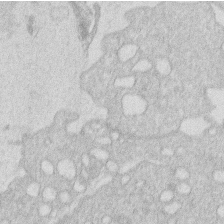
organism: Human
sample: Macrophage cells